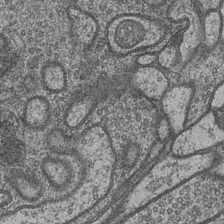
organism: Drosophila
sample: Optic medulla